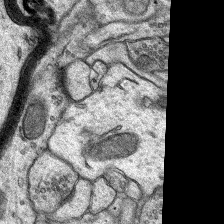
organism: Rat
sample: Hippocampus